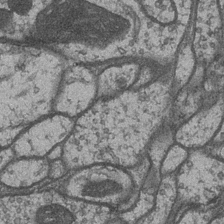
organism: Drosophila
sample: Optic medulla